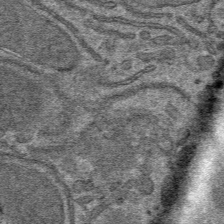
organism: Mouse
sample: Mouse hepatocytes